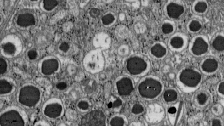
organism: C57BL Mouse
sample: Pancreatic islet